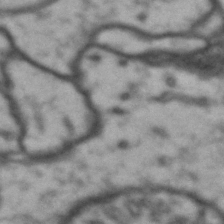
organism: Drosophila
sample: Brain